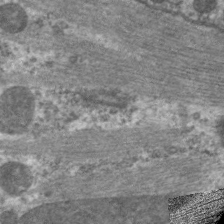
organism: C. elegans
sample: Pharynx